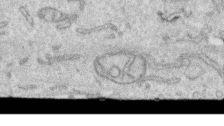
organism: Human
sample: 1205lu cells